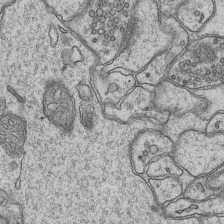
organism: Mouse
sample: CA1 Hippocampus